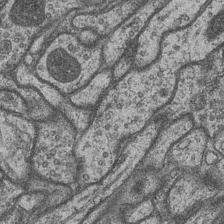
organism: Drosophila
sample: Optic medulla